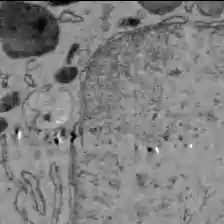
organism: C57BL Mouse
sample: Liver